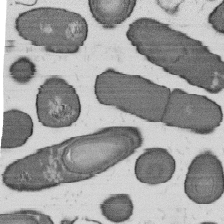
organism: B. subtilis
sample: Bacterial spore